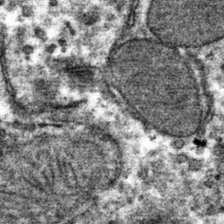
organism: Mouse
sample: Mouse hepatocytes